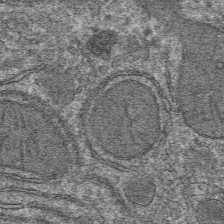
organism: Mouse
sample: Mouse hepatocytes